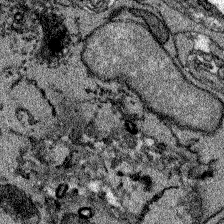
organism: Zebrafish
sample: Larval olfactory bulb